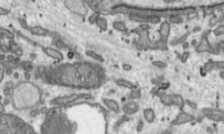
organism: Toxoplasma gondii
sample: Parasites in a vacuole inside a host cell